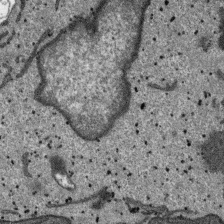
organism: Human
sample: Lung epithelial cells, uninfected (mock) control